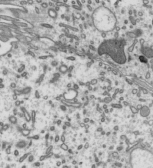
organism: Mouse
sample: Mouse epididymis efferent ductule cilia